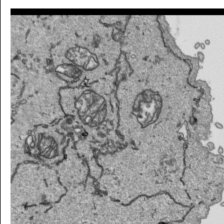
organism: Human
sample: Mitochondria in HCT116 cells